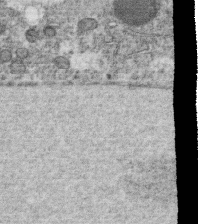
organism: C. elegans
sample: C. elegans oocyte; sperm cells